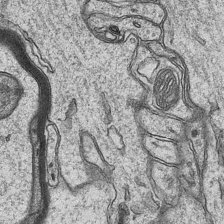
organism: Mouse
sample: CA1 Hippocampus